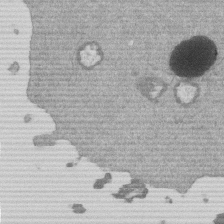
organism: Mouse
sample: Dividing mouse embryo 1 cell stage